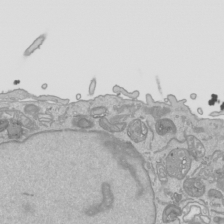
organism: Human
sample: Mitochondria in HCT116 cells